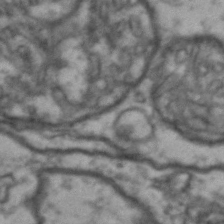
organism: Drosophila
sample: Brain